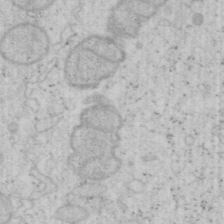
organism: Human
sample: HeLa cells